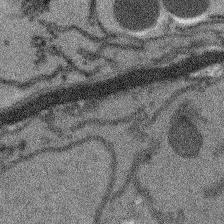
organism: Arabidopsis thaliana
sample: Root tip